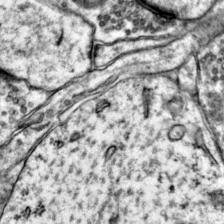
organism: Mouse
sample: Primary visual cortex